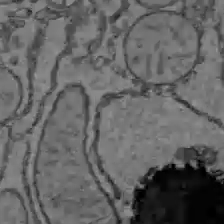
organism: C57BL Mouse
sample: Liver